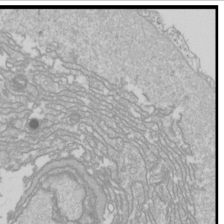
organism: Drosophila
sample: Cell division; meiosis; drosophila spermatocytes